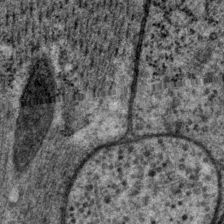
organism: P. pacificus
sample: Pharynx